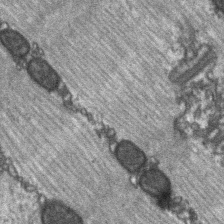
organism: C57BL Mouse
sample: Soleus